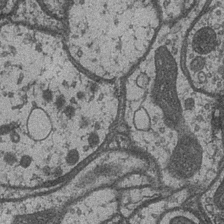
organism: Drosophila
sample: Optic medulla